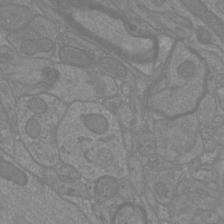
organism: Mouse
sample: Cortical neurons